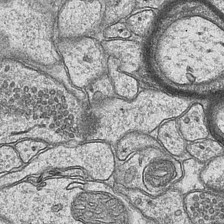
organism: Mouse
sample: CA1 Hippocampus